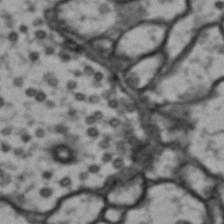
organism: Drosophila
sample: Brain